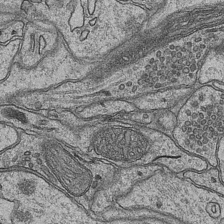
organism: Mouse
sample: CA1 Hippocampus